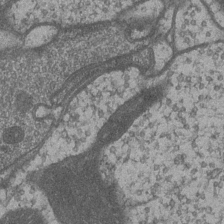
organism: Drosophila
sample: Optic medulla